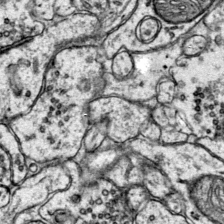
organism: Mouse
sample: Primary visual cortex